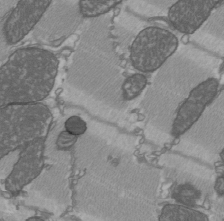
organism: C57BL Mouse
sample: Heart